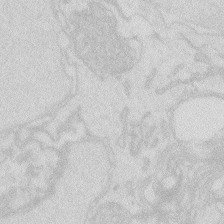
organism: Zebrafish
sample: Macrophage